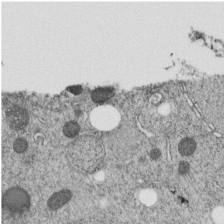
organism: C. elegans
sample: C. elegans embryo early stage